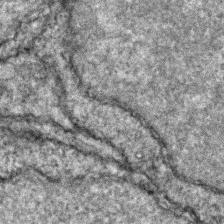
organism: Zebrafish